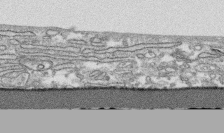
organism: Human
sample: CRL-1474